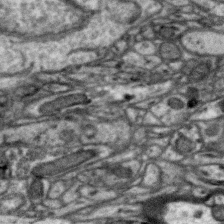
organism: Zebra finch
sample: Brain